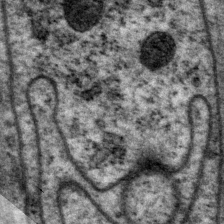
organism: P. pacificus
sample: Pharynx